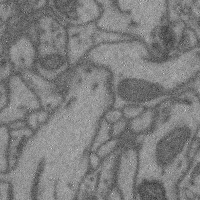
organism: Mouse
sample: Cerebral cortex